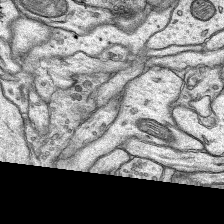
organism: Rat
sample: Hippocampus